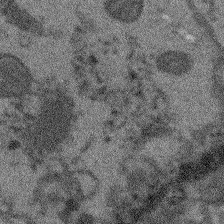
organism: Arabidopsis thaliana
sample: Root tip